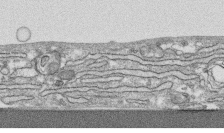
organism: Human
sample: CRL-1474